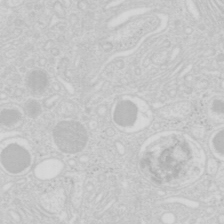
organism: Mouse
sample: Pancreas